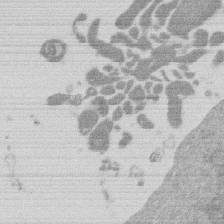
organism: Mouse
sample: Dividing mouse embryo 1 cell stage